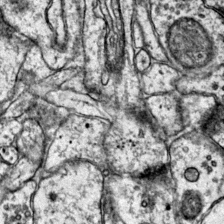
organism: Mouse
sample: Primary visual cortex